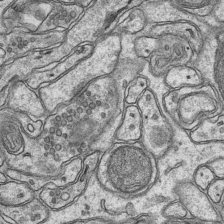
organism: Mouse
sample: CA1 Hippocampus